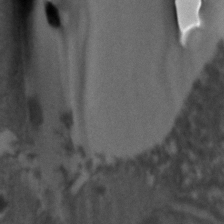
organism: Zebrafish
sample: Zebrafish embryo